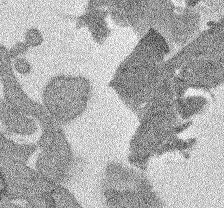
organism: Human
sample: HeLa cells